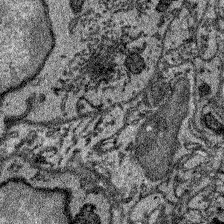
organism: Zebrafish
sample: Larval olfactory bulb